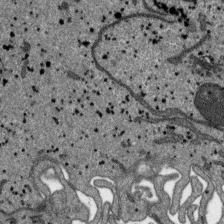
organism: Human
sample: Lung epithelial cells, uninfected (mock) control